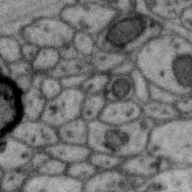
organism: Zebra finch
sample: Brain